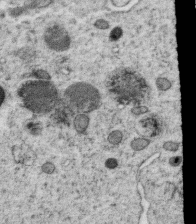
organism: C. elegans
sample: C. elegans oocyte; sperm cells